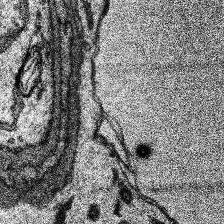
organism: Human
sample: Temporal Lobe